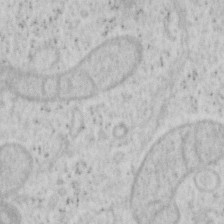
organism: Human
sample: HeLa cells